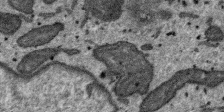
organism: Human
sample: Lung epithelial cells, uninfected (mock) control